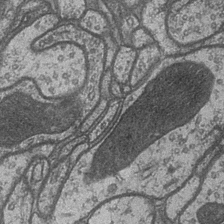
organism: Drosophila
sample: Optic medulla